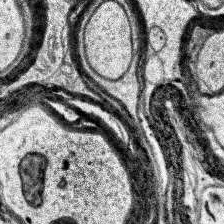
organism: Human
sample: Temporal Lobe